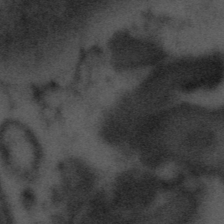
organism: Tuwongella immobilis